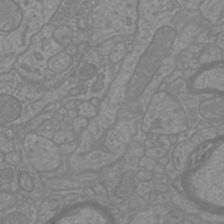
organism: Mouse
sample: Cortical neurons